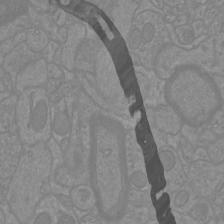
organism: Mouse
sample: Cortical neurons